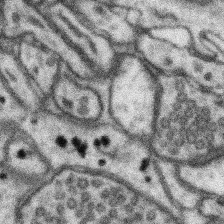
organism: Mouse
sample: Somatosensory cortex neuropil